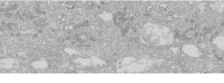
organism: Human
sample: Caco-2 cells